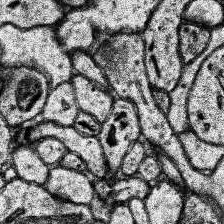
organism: Human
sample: Temporal Lobe